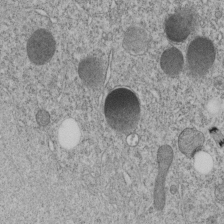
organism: C. elegans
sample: C. elegans embryo early stage